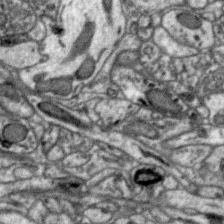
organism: Zebra finch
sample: Brain